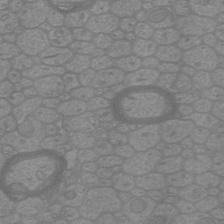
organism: Mouse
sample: Cortical neurons